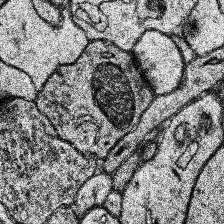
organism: Human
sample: Temporal Lobe